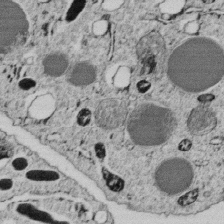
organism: C. elegans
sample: C. elegans embryo early stage